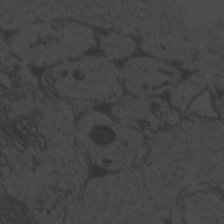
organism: Zebrafish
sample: Macrophage infected with Toxoplasma gondii